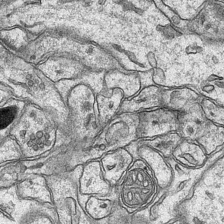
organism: Mouse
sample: CA1 Hippocampus